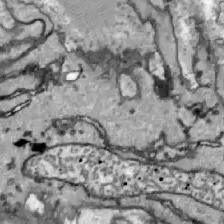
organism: Zebrafish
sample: Actinotrichia fibers